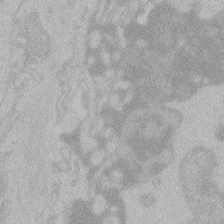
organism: Zebrafish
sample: Macrophage infected with Toxoplasma gondii